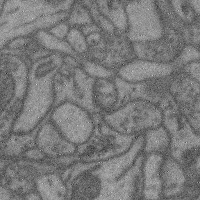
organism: Mouse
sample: Cerebral cortex